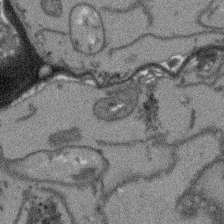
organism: Arabidopsis thaliana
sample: Root tip